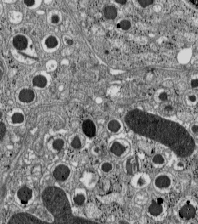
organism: C57BL Mouse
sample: Pancreatic islet